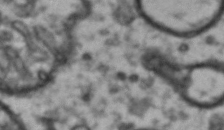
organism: Drosophila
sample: Brain